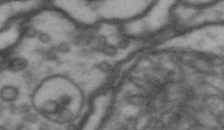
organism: Drosophila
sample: Brain